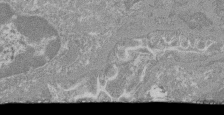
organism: Mouse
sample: Glomerulus